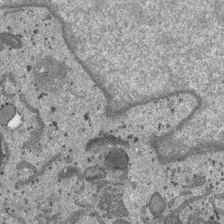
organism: Human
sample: Lung epithelial cells infected with SARS-CoV-2